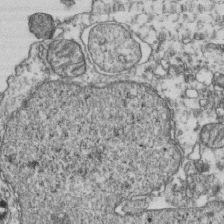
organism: Human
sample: Activated Jurkat CD4+ T cells